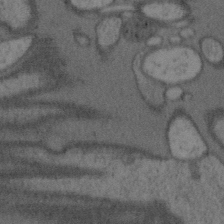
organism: Human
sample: HeLa cells